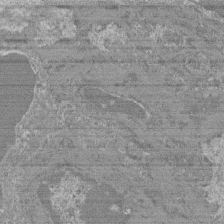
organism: Mouse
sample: Glomerulus